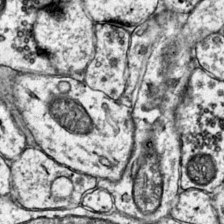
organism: Mouse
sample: Primary visual cortex